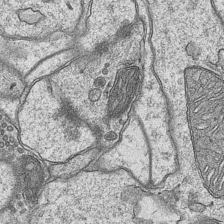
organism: Mouse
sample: CA1 Hippocampus